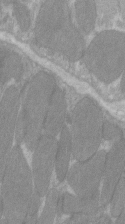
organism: C57BL Mouse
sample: Tibialis anterior muscle cell